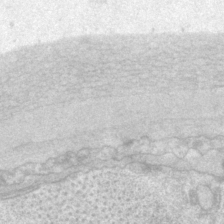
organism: P. pacificus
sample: Pharynx